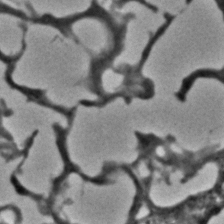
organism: C. elegans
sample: C. elegans embryo